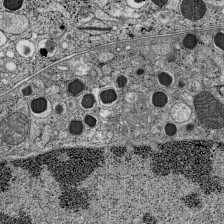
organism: C57BL Mouse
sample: Pancreatic islet